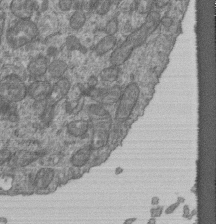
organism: Human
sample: Retinal organoid Rod and Cone cells